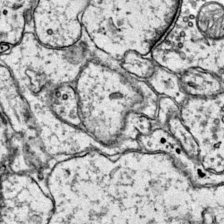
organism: Mouse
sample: Primary visual cortex